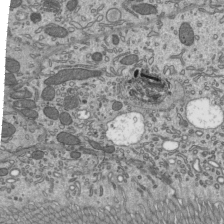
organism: Mouse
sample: Mouse epididymis efferent ductule cilia